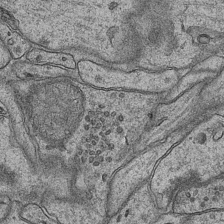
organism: Mouse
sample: CA1 Hippocampus